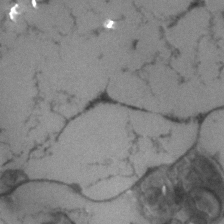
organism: Human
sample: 1205lu cells